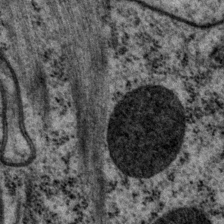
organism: P. pacificus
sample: Pharynx